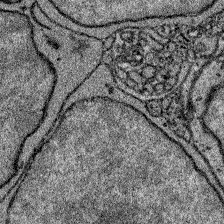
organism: Zebrafish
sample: Larval olfactory bulb